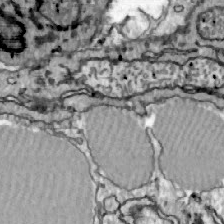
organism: Zebrafish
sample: Actinotrichia fibers